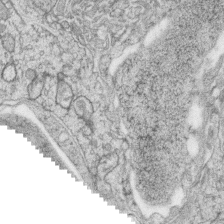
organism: Zebrafish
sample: synaptic ribbons in rod cells and cone cells